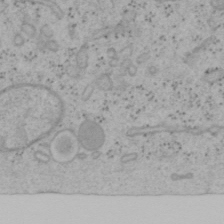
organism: Human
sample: HeLa cells